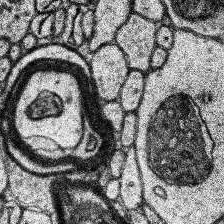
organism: Human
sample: Temporal Lobe